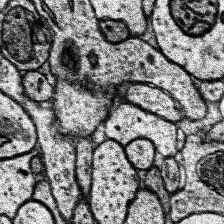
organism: Human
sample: Temporal Lobe